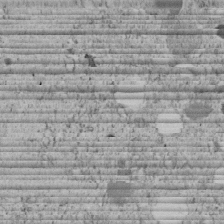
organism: C. elegans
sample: C. elegans embryo early stage